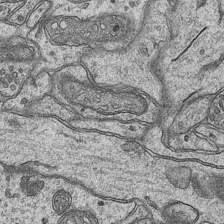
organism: Mouse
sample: CA1 Hippocampus